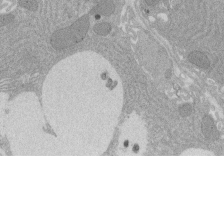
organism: Rat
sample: Salivary granule